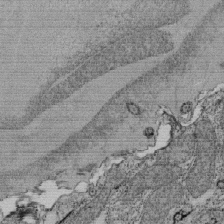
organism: Tetrahymena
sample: Cilia in tetrahymena